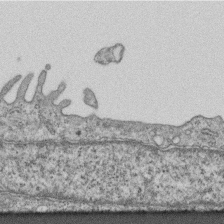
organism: Mouse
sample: Centriole in ependymal cells